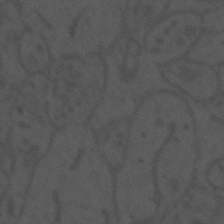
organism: Mouse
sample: Suprachiasmatic nucleus